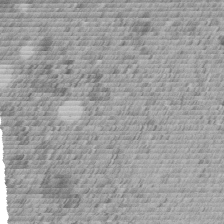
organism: C. elegans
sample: C. elegans embryo early stage